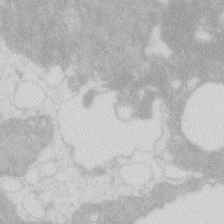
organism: Zebrafish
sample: Macrophage